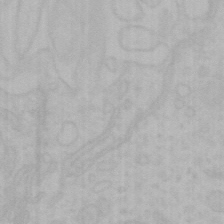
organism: Mouse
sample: Choroid plexus